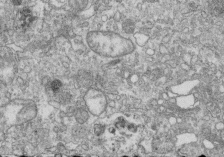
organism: Human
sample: HeLa cell HIV synapse